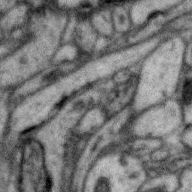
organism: Zebra finch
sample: Brain